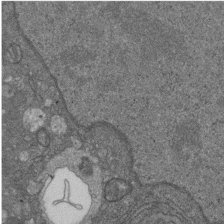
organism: Drosophila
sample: Nephrocyte